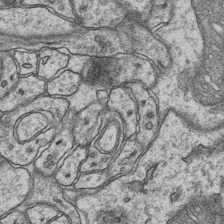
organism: Mouse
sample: CA1 Hippocampus